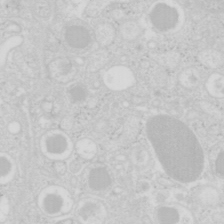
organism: Mouse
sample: Pancreas